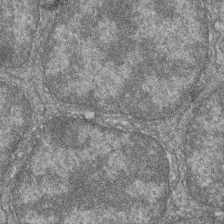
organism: Zebrafish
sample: Cilia; retinal pigment epithelium